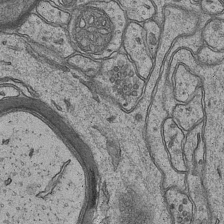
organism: Mouse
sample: CA1 Hippocampus